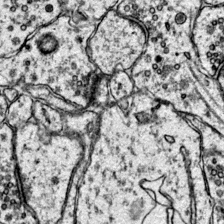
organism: Mouse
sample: Primary visual cortex